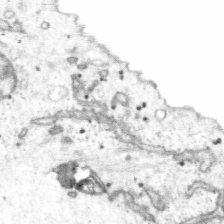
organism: Human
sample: HeLa cells